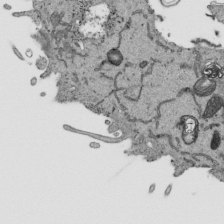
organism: Human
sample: Mitochondria in HCT116 cells